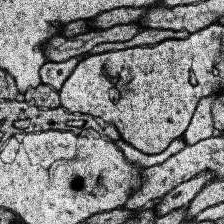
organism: Human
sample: Temporal Lobe